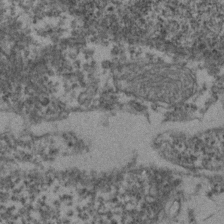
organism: Zebrafish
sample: Zebrafish embryo